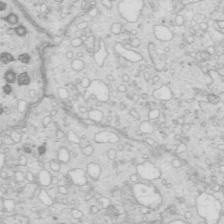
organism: Mouse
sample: Multiciliated cells